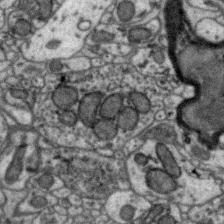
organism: Zebra finch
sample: Brain